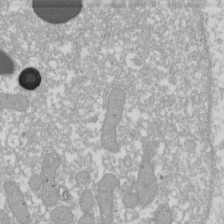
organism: Xenopus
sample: Cilia; centrioles in frog embryo cells